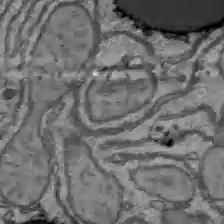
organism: C57BL Mouse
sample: Liver